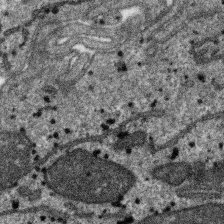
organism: Human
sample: Lung epithelial cells infected with SARS-CoV-2